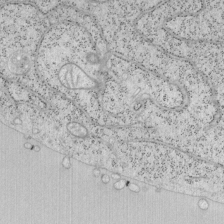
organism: Mouse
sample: OT-I killer T cells with ID8 ovarian cancer cells